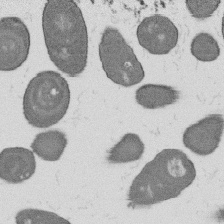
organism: B. subtilis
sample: Bacterial spore